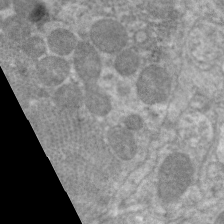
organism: C. elegans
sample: Pharynx